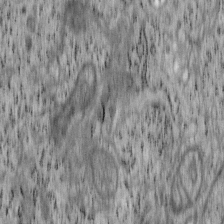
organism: Human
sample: HeLa cells